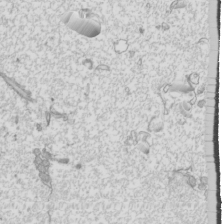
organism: Mouse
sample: Cilia; mouse epididymis